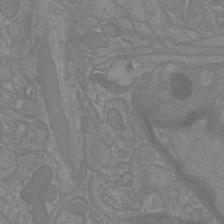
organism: Mouse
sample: Cortical neurons